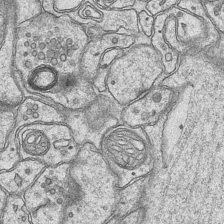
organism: Mouse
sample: CA1 Hippocampus